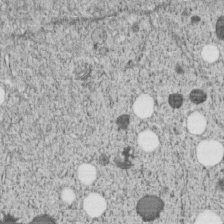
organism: C. elegans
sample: C. elegans embryo early stage